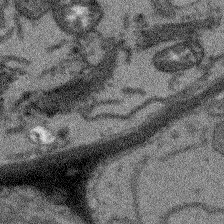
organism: Arabidopsis thaliana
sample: Root tip